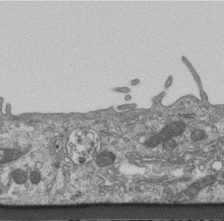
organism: Mouse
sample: Centriole in ependymal cells